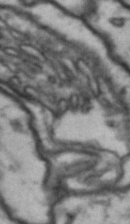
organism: Drosophila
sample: Brain